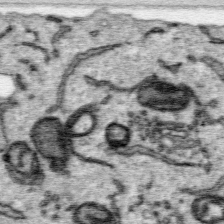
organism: Human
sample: HeLa cells